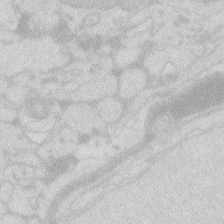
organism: Zebrafish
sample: Macrophage